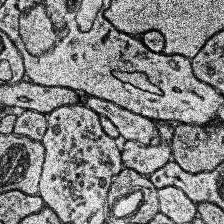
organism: Human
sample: Temporal Lobe